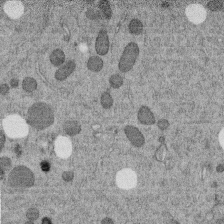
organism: C. elegans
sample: C. elegans embryo early stage